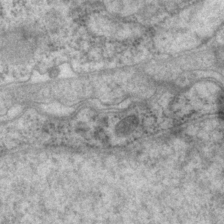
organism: P. pacificus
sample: Pharynx